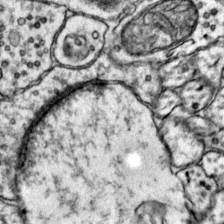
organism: Mouse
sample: Primary visual cortex